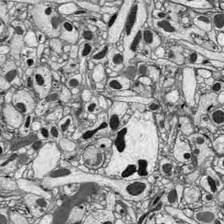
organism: Drosophila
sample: Optic lobe